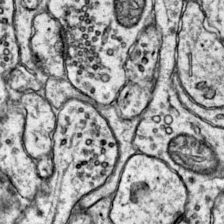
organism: Mouse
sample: Primary visual cortex